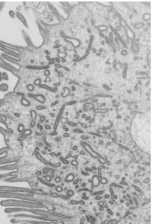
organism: Mouse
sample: Mouse epididymis efferent ductule cilia